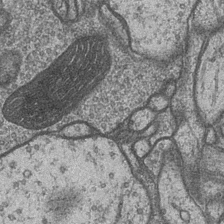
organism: Drosophila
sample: Optic medulla